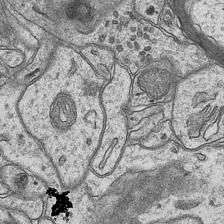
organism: Mouse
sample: CA1 Hippocampus